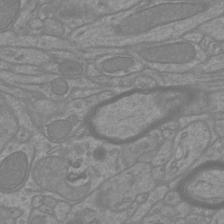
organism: Mouse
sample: Cortical neurons